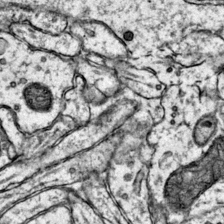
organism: Mouse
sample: Primary visual cortex